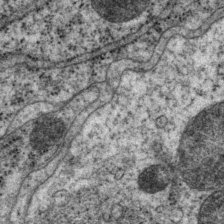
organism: P. pacificus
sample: Pharynx